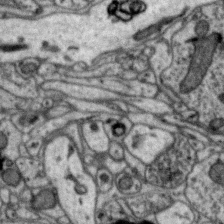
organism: Zebra finch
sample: Brain